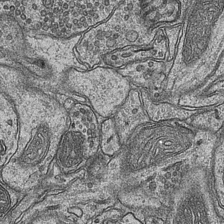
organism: Mouse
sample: CA1 Hippocampus